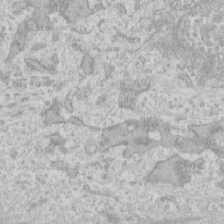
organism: Human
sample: Fibroblast cells